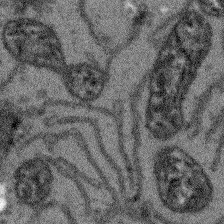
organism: Arabidopsis thaliana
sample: Root tip